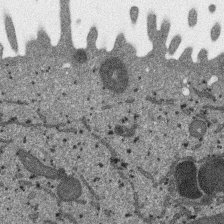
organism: Human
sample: Lung epithelial cells infected with SARS-CoV-2